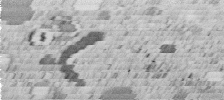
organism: C. elegans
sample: C. elegans embryo early stage